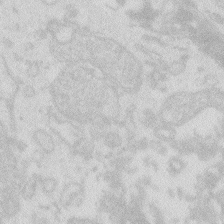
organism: Zebrafish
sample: Macrophage